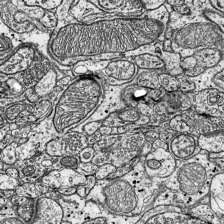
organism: Mouse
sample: Visual Cortex